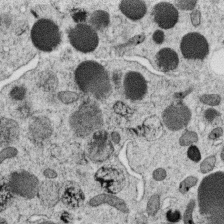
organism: C. elegans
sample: C. elegans oocyte; sperm cells